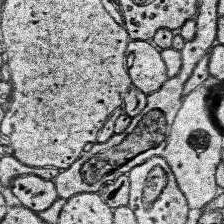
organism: Human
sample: Temporal Lobe